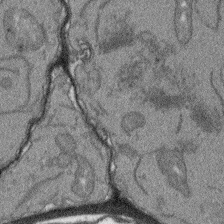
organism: Arabidopsis thaliana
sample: Root tip